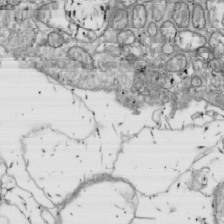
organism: Drosophila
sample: Cell division; meiosis; drosophila spermatocytes